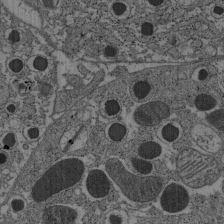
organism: C57BL Mouse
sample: Pancreatic islet